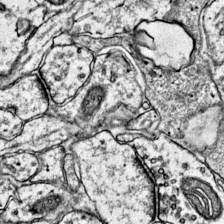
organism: Mouse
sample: Primary visual cortex